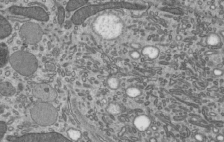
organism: Mouse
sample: Mouse epididymis efferent ductule cilia